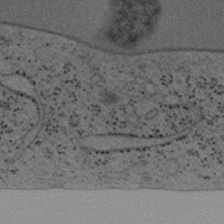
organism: Human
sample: HeLa cells